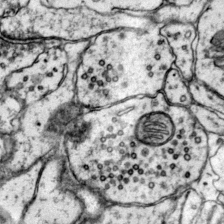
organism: Mouse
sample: Primary visual cortex